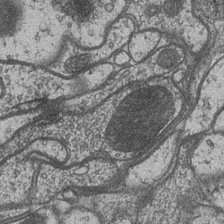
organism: Drosophila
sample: Optic medulla